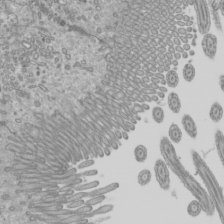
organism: Mouse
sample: Cilia; mouse epididymis